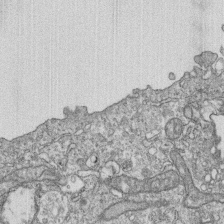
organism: Human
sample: HeLa cell HIV synapse